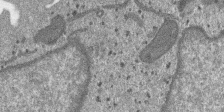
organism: Human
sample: Lung epithelial cells infected with SARS-CoV-2